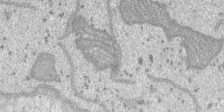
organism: Human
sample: Lung epithelial cells infected with SARS-CoV-2